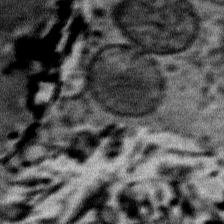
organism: Mouse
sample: Mouse Salivary gland